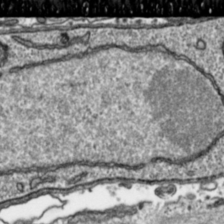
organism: Toxoplasma gondii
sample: Parasites in a vacuole inside a host cell